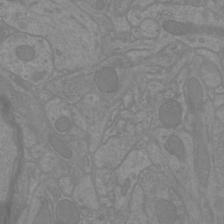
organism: Mouse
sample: Cortical neurons